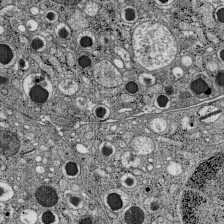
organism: C57BL Mouse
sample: Pancreatic islet